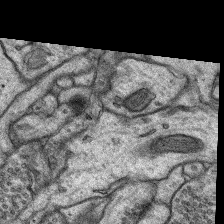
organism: Rat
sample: Hippocampus